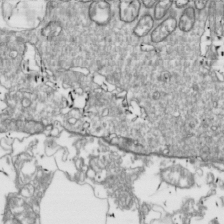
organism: Drosophila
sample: Cell division; meiosis; drosophila spermatocytes